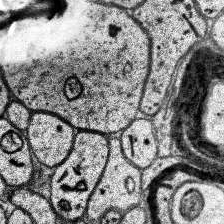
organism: Human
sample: Temporal Lobe